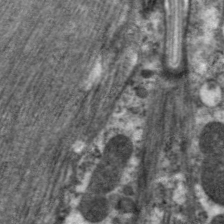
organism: C. elegans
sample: Pharynx